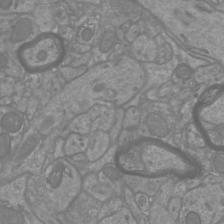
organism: Mouse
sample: Cortical neurons